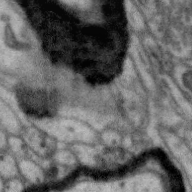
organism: Zebra finch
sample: Brain